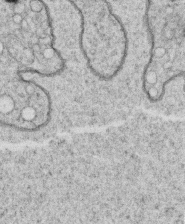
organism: C. elegans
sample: C. elegans oocyte; sperm cells